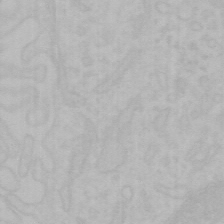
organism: Mouse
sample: Choroid plexus